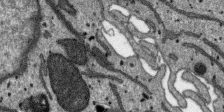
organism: Human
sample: Lung epithelial cells, uninfected (mock) control